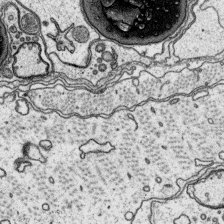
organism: Platynereis dumerilii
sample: Parapodia